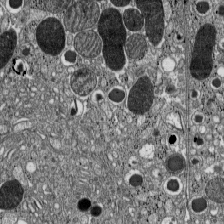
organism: C57BL Mouse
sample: Pancreatic islet